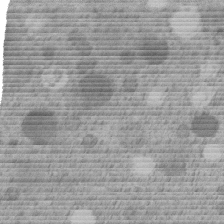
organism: C. elegans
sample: C. elegans embryo early stage